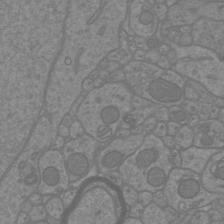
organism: Mouse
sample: Cortical neurons